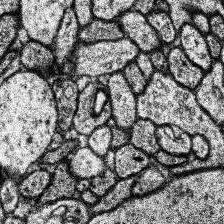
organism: Human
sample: Temporal Lobe